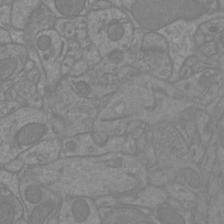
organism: Mouse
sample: Cortical neurons